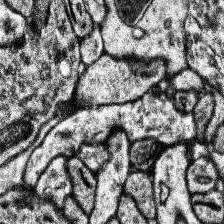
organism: Human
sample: Temporal Lobe